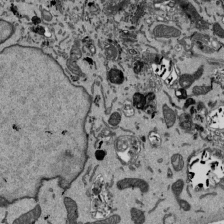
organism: Mouse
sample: ED-1 cell nuclei; centrioles